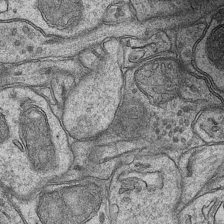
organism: Mouse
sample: CA1 Hippocampus